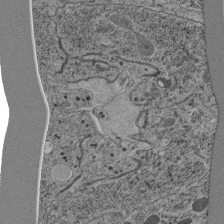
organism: C. elegans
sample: C. elegans pharynx